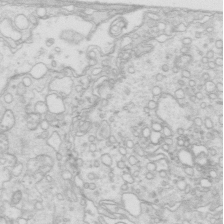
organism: Mouse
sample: Multiciliated cells